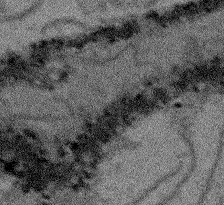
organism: Arabidopsis thaliana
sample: Root tip